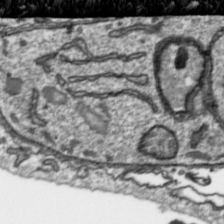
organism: Toxoplasma gondii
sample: Parasites in a vacuole inside a host cell